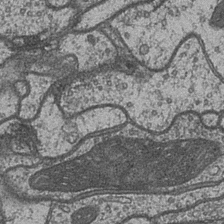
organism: Drosophila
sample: Optic medulla